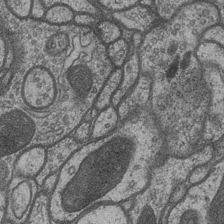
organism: Drosophila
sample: Optic medulla